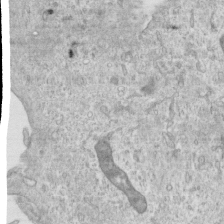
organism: Human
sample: Centriole in RPE cells